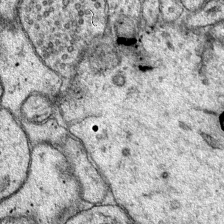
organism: Mouse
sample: Primary visual cortex